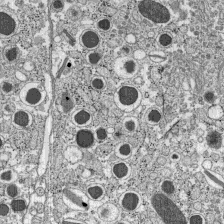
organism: C57BL Mouse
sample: Pancreatic islet